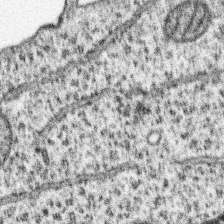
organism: Human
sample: HeLa cells